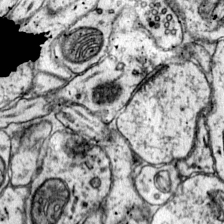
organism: Mouse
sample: Primary visual cortex